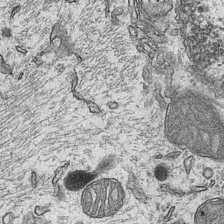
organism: Mouse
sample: CA1 Hippocampus